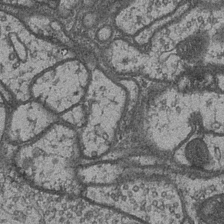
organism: Drosophila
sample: Optic medulla